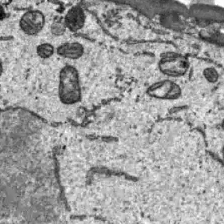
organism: Human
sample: HeLa cells